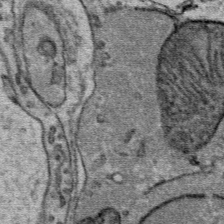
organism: Mouse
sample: Mouse Salivary gland